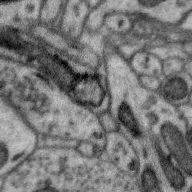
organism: Zebra finch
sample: Brain